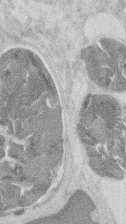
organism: Mouse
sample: T cell stromal cell synapse